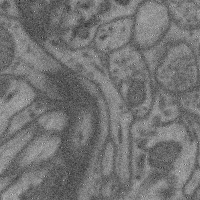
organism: Mouse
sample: Cerebral cortex